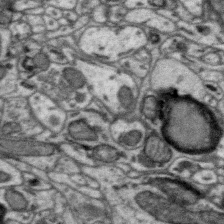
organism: Zebra finch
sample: Brain